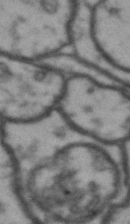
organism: Drosophila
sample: Brain